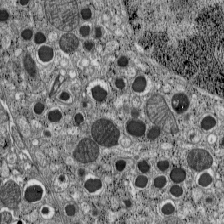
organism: C57BL Mouse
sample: Pancreatic islet